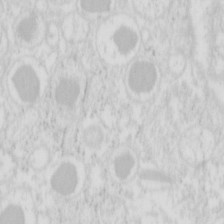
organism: Mouse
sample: Pancreas